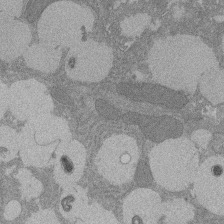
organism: Rat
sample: Salivary granule